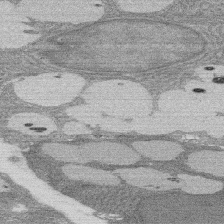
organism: Rat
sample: Salivary granule